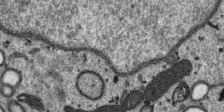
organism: Human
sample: Lung epithelial cells infected with SARS-CoV-2